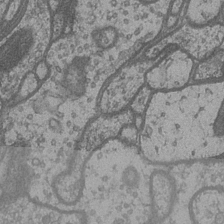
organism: Drosophila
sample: Optic medulla